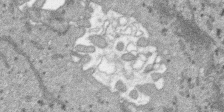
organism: Human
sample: Lung epithelial cells infected with SARS-CoV-2